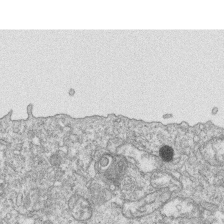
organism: Human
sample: HeLa cell HIV synapse